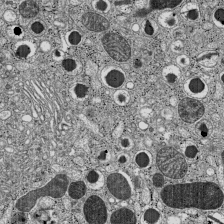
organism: C57BL Mouse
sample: Pancreatic islet